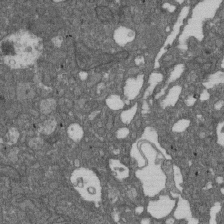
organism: Drosophila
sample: Nephrocyte